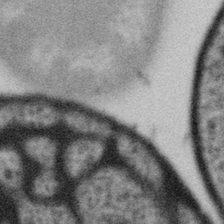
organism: Gemmata obscuriglobus